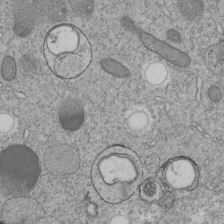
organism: C. elegans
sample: C. elegans embryo early stage